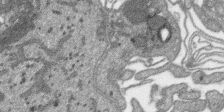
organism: Human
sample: Lung epithelial cells infected with SARS-CoV-2